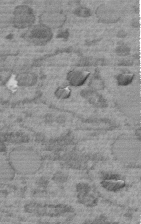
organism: C. elegans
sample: C. elegans embryo early stage